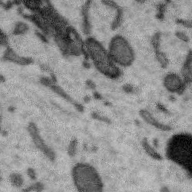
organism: Zebra finch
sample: Brain